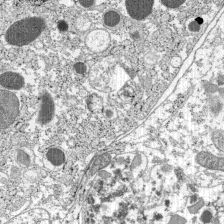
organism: C57BL Mouse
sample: Pancreatic islet